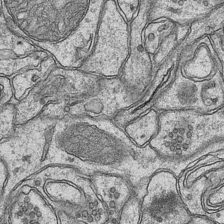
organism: Mouse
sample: CA1 Hippocampus